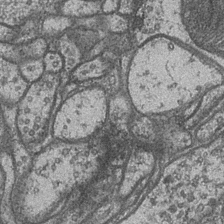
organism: Drosophila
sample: Optic medulla